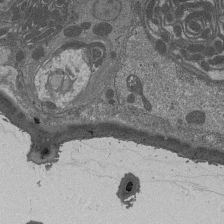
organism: Drosophila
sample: Antenna